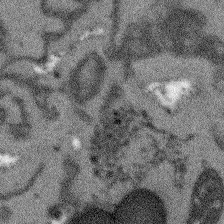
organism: Arabidopsis thaliana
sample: Root tip